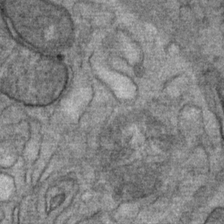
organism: Mouse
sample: Mouse Salivary gland